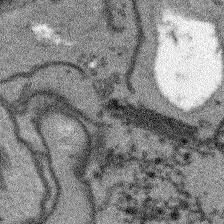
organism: Arabidopsis thaliana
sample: Root tip